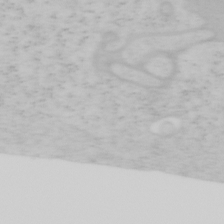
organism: Mouse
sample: OT-I killer T cells with ID8 ovarian cancer cells